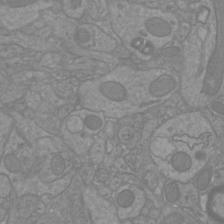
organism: Mouse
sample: Cortical neurons